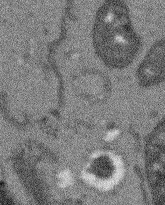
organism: Arabidopsis thaliana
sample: Root tip